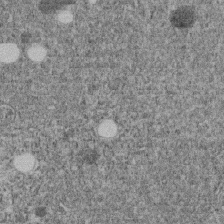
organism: C. elegans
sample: C. elegans embryo early stage